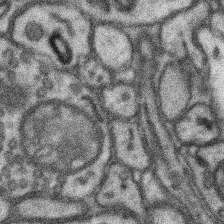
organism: Mouse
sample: Somatosensory cortex neuropil